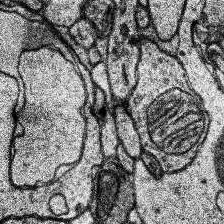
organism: Human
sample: Temporal Lobe